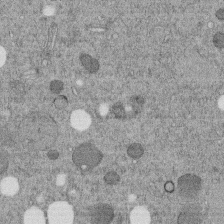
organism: C. elegans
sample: C. elegans embryo early stage